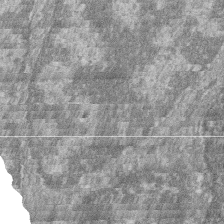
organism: Zebrafish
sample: Cilia; retinal pigment epithelium